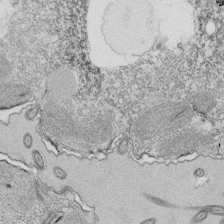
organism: Tetrahymena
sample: Cilia in tetrahymena